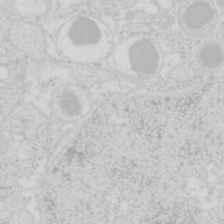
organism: Mouse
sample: Pancreas